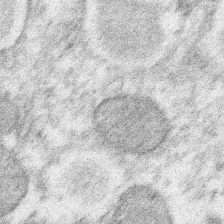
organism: Xenopus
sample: Cilia; centrioles in frog embryo cells